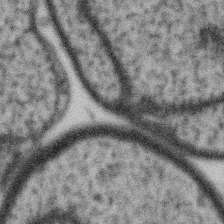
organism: Gemmata obscuriglobus